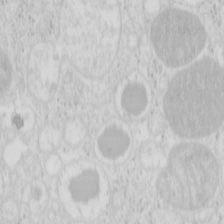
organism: Mouse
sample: Pancreas